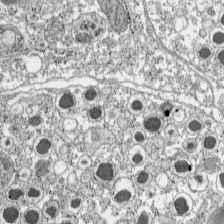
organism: C57BL Mouse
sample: Pancreatic islet